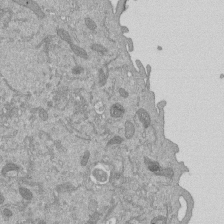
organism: Mouse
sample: ED-1 cell nuclei; centrioles